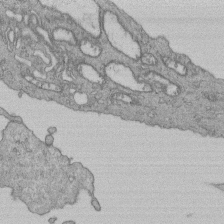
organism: Human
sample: Retinal organoid Rod and Cone cells